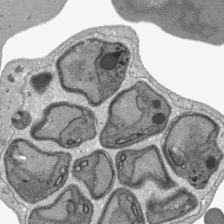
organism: Plasmodium falciparum